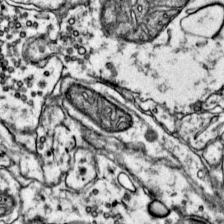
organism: Mouse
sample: Primary visual cortex